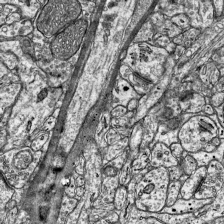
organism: Mouse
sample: Visual Cortex